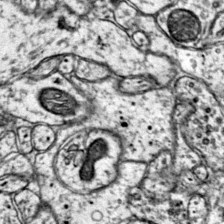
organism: Mouse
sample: Primary visual cortex